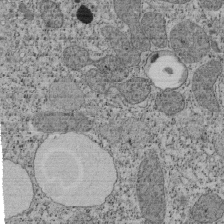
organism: Tetrahymena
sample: Cilia in tetrahymena